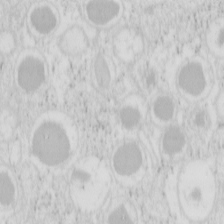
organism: Mouse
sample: Pancreas